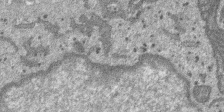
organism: Human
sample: Lung epithelial cells infected with SARS-CoV-2